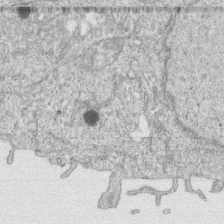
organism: Human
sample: HeLa cell HIV synapse